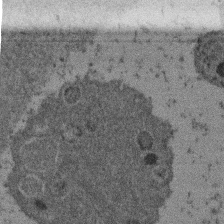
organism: Mouse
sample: Dividing mouse embryo 1 cell stage